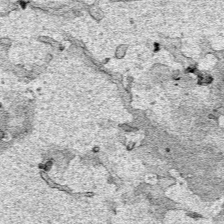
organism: Human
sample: Mitochondria in HCT116 cells